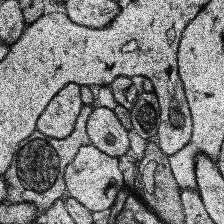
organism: Human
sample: Temporal Lobe